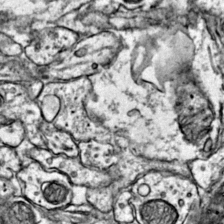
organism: Mouse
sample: Primary visual cortex